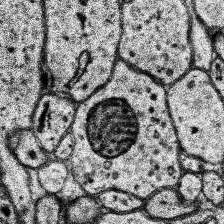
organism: Human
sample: Temporal Lobe